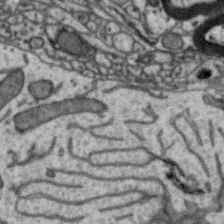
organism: Zebra finch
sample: Brain